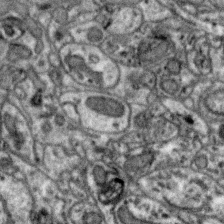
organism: Zebra finch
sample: Brain